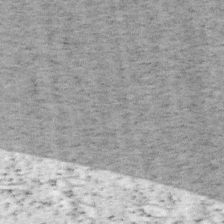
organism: Mouse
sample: OT-I killer T cells with ID8 ovarian cancer cells